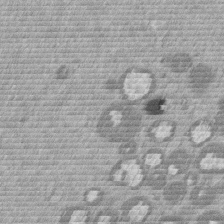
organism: Mouse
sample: Dividing mouse embryo 1 cell stage